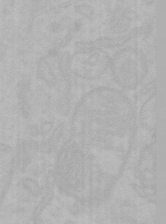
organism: Mouse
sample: Choroid plexus